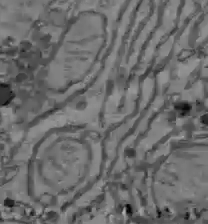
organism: C57BL Mouse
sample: Liver